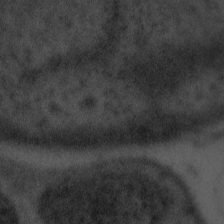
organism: Tuwongella immobilis